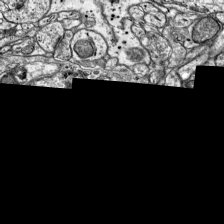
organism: Mouse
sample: Visual Cortex